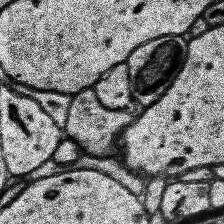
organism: Human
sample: Temporal Lobe